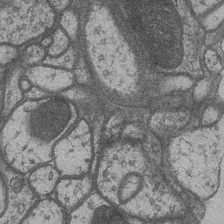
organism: Drosophila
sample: Optic medulla